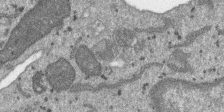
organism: Human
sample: Lung epithelial cells infected with SARS-CoV-2